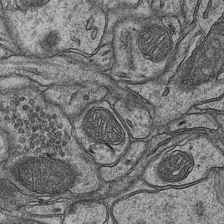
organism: Mouse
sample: CA1 Hippocampus